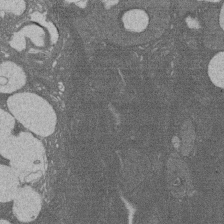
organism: Rat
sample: Salivary granule